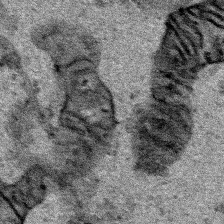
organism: Human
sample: Mitochondria in HCT116 cells